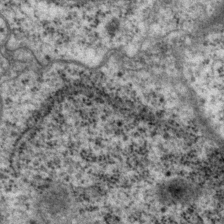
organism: P. pacificus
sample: Pharynx